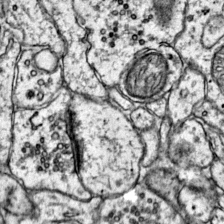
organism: Mouse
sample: Primary visual cortex